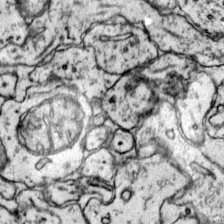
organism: Mouse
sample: Primary visual cortex